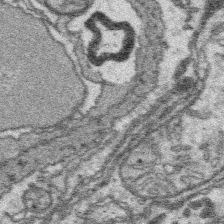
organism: Platynereis dumerilii